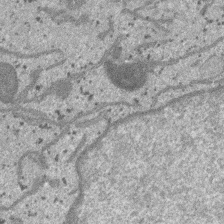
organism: Human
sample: Lung epithelial cells infected with SARS-CoV-2